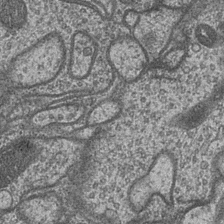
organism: Drosophila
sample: Optic medulla